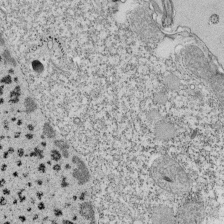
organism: Tetrahymena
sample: Cilia in tetrahymena